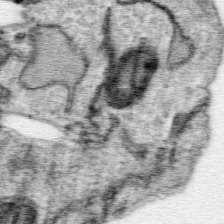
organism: Human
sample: HeLa cells